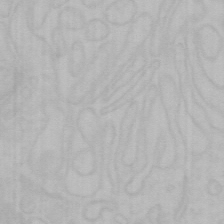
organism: Mouse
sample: Choroid plexus